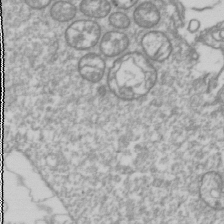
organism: Drosophila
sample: Cell division; meiosis; drosophila spermatocytes